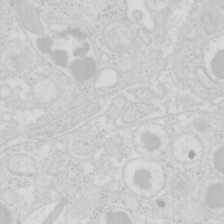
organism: Mouse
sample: Pancreas